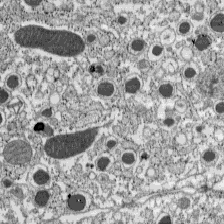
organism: C57BL Mouse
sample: Pancreatic islet